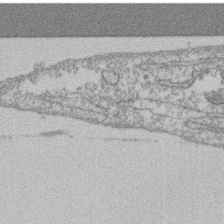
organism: Mouse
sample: T cell stromal cell synapse